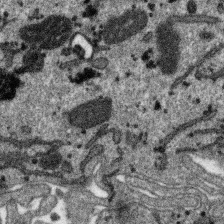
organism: Human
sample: Lung epithelial cells infected with SARS-CoV-2